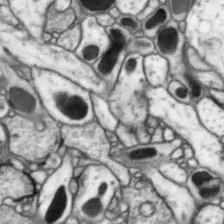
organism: Drosophila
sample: Optic lobe